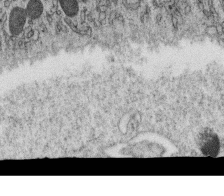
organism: C. elegans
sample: C. elegans oocyte; sperm cells